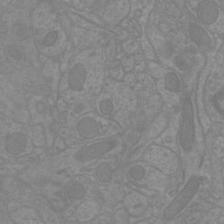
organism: Mouse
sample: Cortical neurons